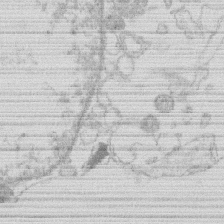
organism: Human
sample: Macrophage cells